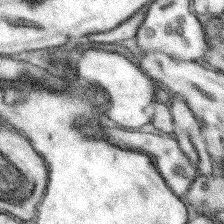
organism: Mouse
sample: Somatosensory cortex neuropil